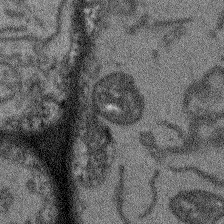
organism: Arabidopsis thaliana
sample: Root tip